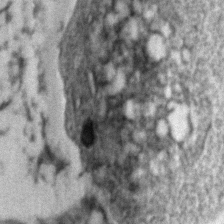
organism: Zebrafish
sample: Zebrafish embryo